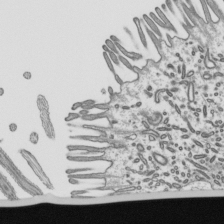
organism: Mouse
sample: Mouse epididymis efferent ductule cilia